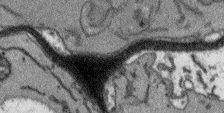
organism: Arabidopsis thaliana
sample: Root tip